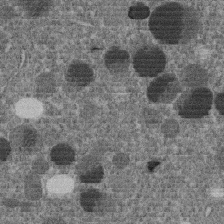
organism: C. elegans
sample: C. elegans embryo early stage